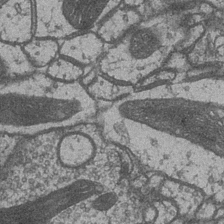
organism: Drosophila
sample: Optic medulla